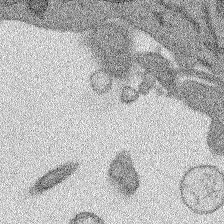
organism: Human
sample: HeLa cells